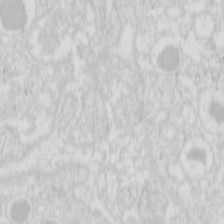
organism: Mouse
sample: Pancreas